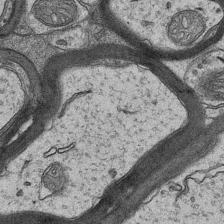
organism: Mouse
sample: CA1 Hippocampus